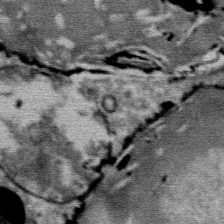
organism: Mouse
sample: Mouse Salivary gland